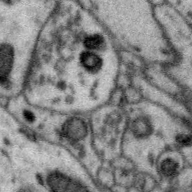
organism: Zebra finch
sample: Brain